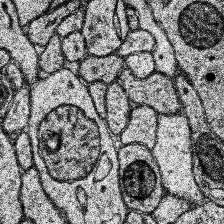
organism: Human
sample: Temporal Lobe